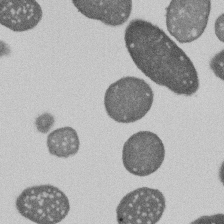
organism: E. coli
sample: Bacterial nucleoid